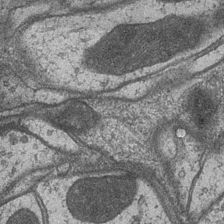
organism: Drosophila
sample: Optic medulla